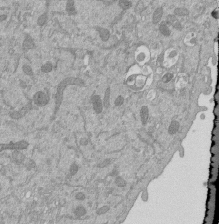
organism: Mouse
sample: ED-1 cell nuclei; centrioles